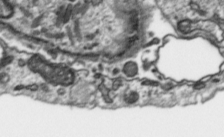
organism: Toxoplasma gondii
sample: Parasites in a vacuole inside a host cell